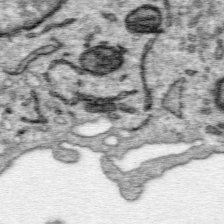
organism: Human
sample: HeLa cells